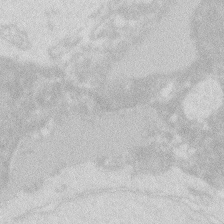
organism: Zebrafish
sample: Macrophage